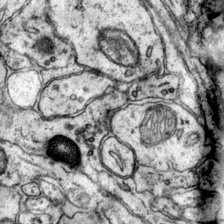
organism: Mouse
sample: Primary visual cortex